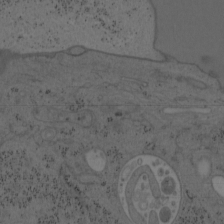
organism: Mouse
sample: OT-I killer T cells with ID8 ovarian cancer cells